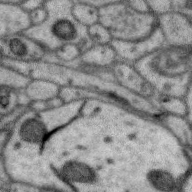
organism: Zebra finch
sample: Brain